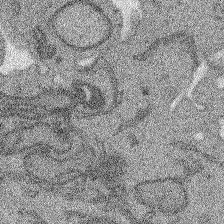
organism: Human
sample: HeLa cells